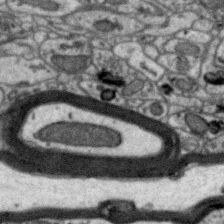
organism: Zebra finch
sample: Brain